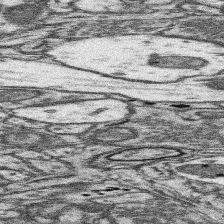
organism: Mouse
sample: Somatosensory cortex neuropil